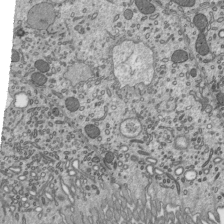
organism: Mouse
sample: Mouse epididymis efferent ductule cilia